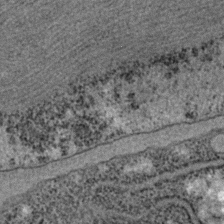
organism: C. elegans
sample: C. elegans embryo